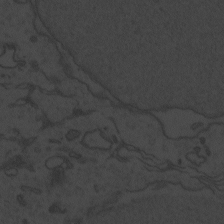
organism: Zebrafish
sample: Macrophage infected with Toxoplasma gondii